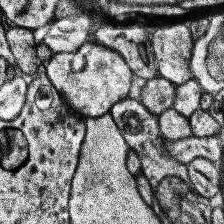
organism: Human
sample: Temporal Lobe